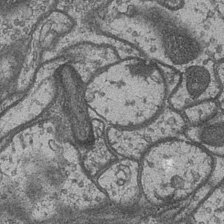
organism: Drosophila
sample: Optic medulla